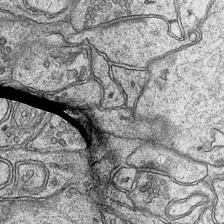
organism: Mouse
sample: CA1 Hippocampus